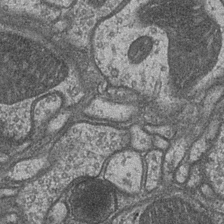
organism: Drosophila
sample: Optic medulla